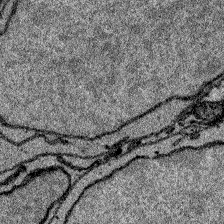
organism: Zebrafish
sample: Larval olfactory bulb